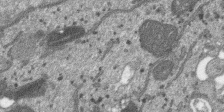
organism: Human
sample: Lung epithelial cells infected with SARS-CoV-2